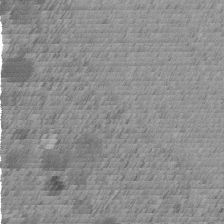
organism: C. elegans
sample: C. elegans embryo early stage